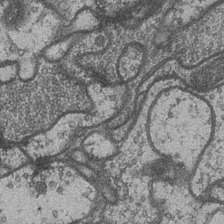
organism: Drosophila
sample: Optic medulla